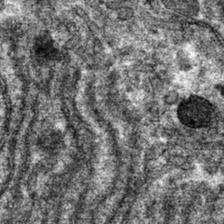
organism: Mouse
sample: Mouse hepatocytes